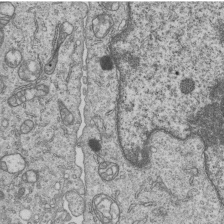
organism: Human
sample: MDA-MB-231 cells